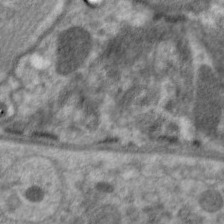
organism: C. elegans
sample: Pharynx